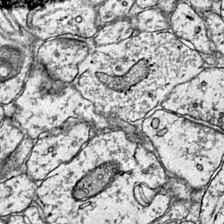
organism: Mouse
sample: Primary visual cortex